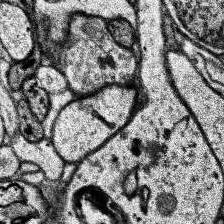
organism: Human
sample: Temporal Lobe